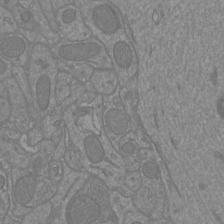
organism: Mouse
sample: Cortical neurons